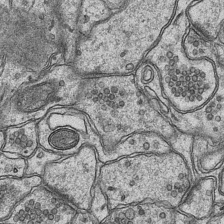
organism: Mouse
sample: CA1 Hippocampus